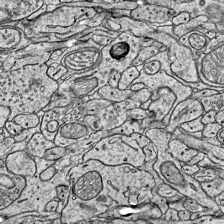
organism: Mouse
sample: Visual Cortex